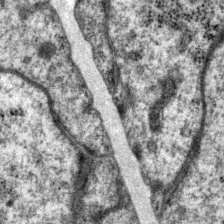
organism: P. pacificus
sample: Pharynx